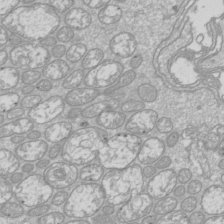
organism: Drosophila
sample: Cell division; meiosis; drosophila spermatocytes